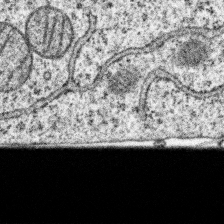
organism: Human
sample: HeLa cells